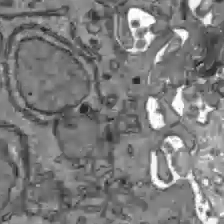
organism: C57BL Mouse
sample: Liver